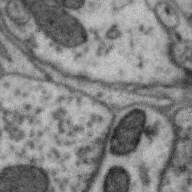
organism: Zebra finch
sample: Brain